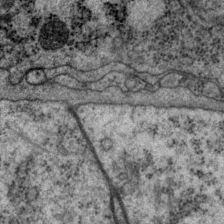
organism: P. pacificus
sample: Pharynx